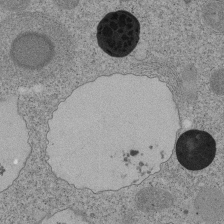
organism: Tetrahymena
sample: Cilia in tetrahymena